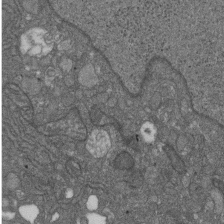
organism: Drosophila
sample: Nephrocyte